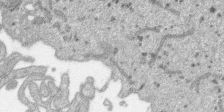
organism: Human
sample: Lung epithelial cells infected with SARS-CoV-2